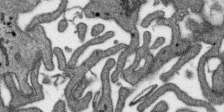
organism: Human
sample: Lung epithelial cells, uninfected (mock) control